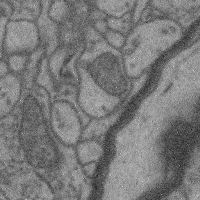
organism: Mouse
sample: Cerebral cortex